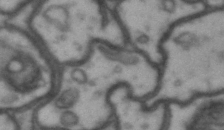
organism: Drosophila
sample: Brain